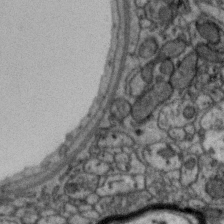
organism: Zebra finch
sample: Brain